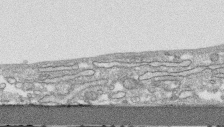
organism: Human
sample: CRL-1474